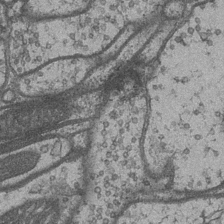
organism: Drosophila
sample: Optic medulla